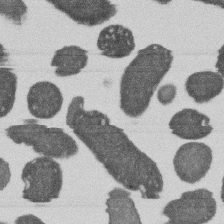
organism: E. coli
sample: Bacterial nucleoid